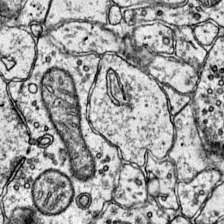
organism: Mouse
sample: Primary visual cortex